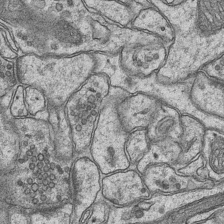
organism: Mouse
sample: CA1 Hippocampus